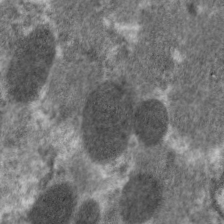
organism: C. elegans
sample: Pharynx